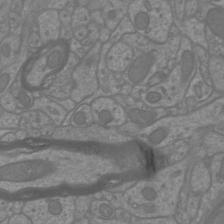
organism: Mouse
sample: Cortical neurons